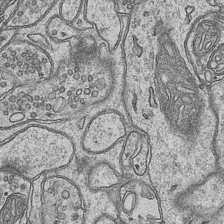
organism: Mouse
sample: CA1 Hippocampus